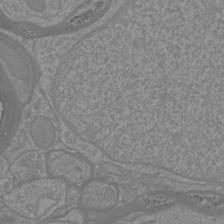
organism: Mouse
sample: Cortical neurons